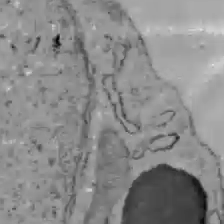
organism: C57BL Mouse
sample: Liver